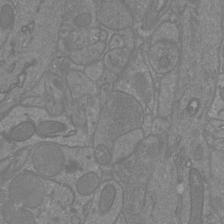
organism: Mouse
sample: Cortical neurons